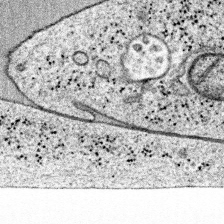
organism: Human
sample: HeLa cells